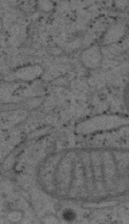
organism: Human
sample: HeLa cells